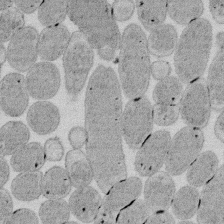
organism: E. coli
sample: Bacterial nucleoid